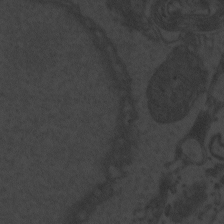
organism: Zebrafish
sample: Macrophage infected with Toxoplasma gondii